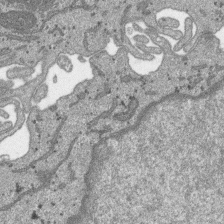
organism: Human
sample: Lung epithelial cells infected with SARS-CoV-2